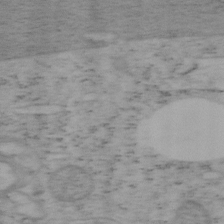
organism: Mouse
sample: OT-I killer T cells with ID8 ovarian cancer cells